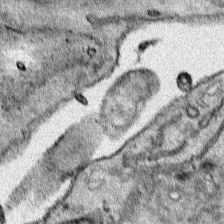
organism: Human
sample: Mitochondria in HCT116 cells